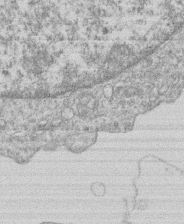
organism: Human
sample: Macrophage cells